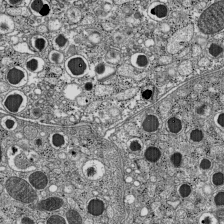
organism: C57BL Mouse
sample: Pancreatic islet